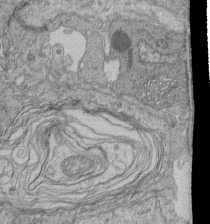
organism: Human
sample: Retinal organoid Rod and Cone cells